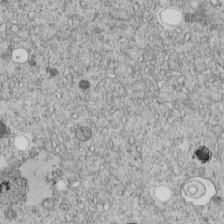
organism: C. elegans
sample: C. elegans embryo early stage